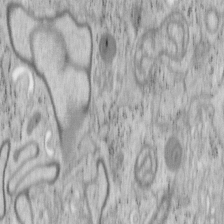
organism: Human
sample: HeLa cells